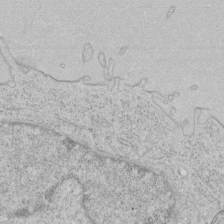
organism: Human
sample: Mitochondria in HCT116 cells